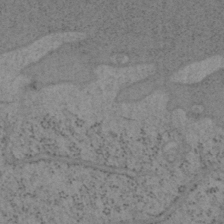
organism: Mouse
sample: OT-I killer T cells with ID8 ovarian cancer cells